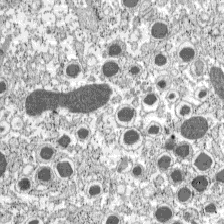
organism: C57BL Mouse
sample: Pancreatic islet